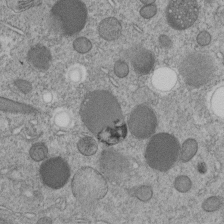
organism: C. elegans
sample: C. elegans embryo early stage